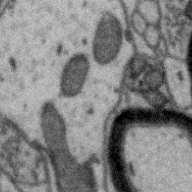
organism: Zebra finch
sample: Brain